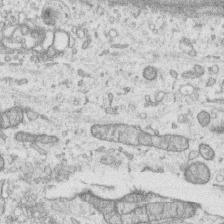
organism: Human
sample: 1205lu cells